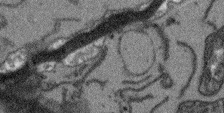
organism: Arabidopsis thaliana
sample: Root tip